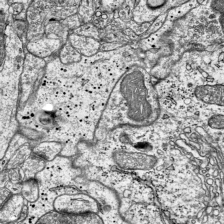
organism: Mouse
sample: Visual Cortex